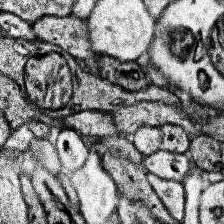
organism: Human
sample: Temporal Lobe